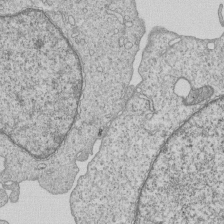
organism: Human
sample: MDA-MB-231 cells